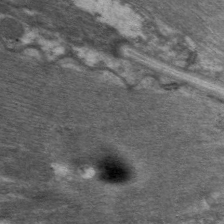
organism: C. elegans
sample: Pharynx